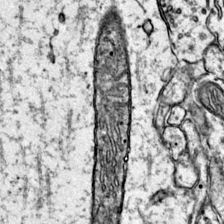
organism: Mouse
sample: Primary visual cortex